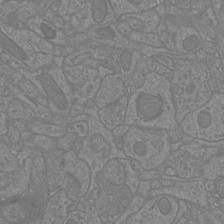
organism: Mouse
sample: Cortical neurons